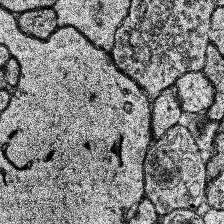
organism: Human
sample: Temporal Lobe